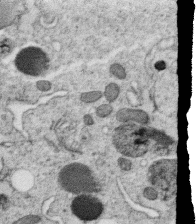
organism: C. elegans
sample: C. elegans oocyte; sperm cells